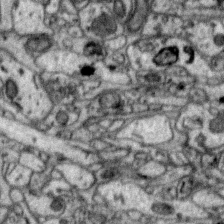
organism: Zebra finch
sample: Brain